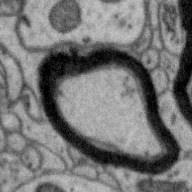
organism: Zebra finch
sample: Brain